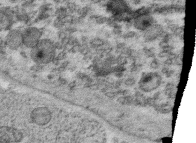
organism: C. elegans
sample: C. elegans oocyte; sperm cells